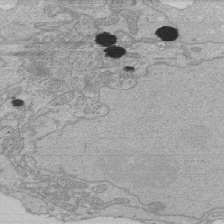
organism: Human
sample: Activated Jurkat CD4+ T cells